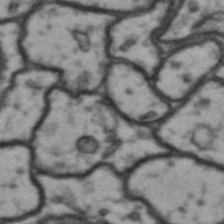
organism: Drosophila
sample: Brain